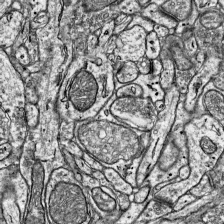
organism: Mouse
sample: Visual Cortex